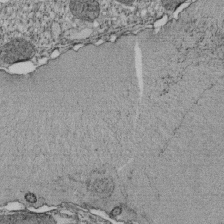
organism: Tetrahymena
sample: Cilia in tetrahymena